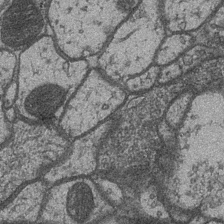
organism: Drosophila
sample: Optic medulla